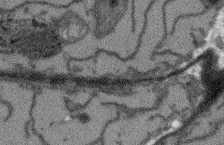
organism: Arabidopsis thaliana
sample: Root tip